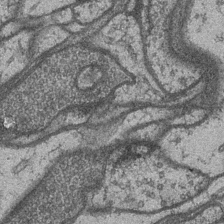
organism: Drosophila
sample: Optic medulla